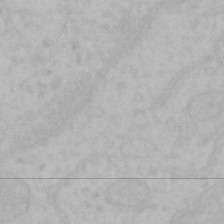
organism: Mouse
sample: Choroid plexus